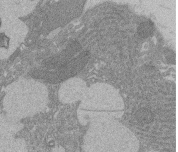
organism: Rat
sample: Salivary granule